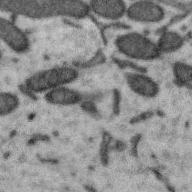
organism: Zebra finch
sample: Brain